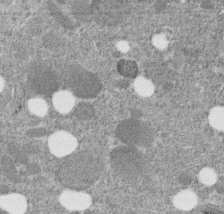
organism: C. elegans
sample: C. elegans embryo early stage